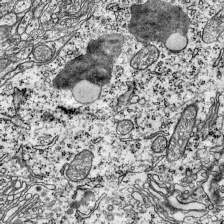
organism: Mouse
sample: Visual Cortex